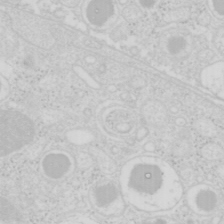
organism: Mouse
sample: Pancreas